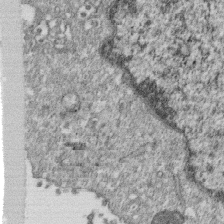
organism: African green monkey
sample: Vero E6 cells infected with SARS-CoV-2